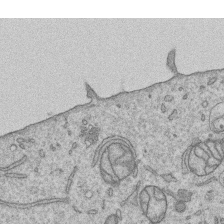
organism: Human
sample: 1205lu cells